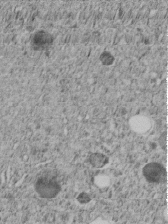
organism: C. elegans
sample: C. elegans embryo early stage